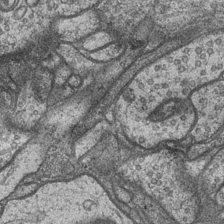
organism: Drosophila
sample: Optic medulla